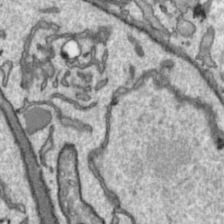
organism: Toxoplasma gondii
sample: Parasites in a vacuole inside a host cell